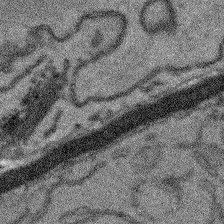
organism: Arabidopsis thaliana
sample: Root tip